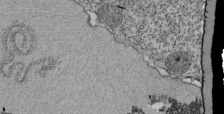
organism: Tetrahymena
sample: Cilia in tetrahymena